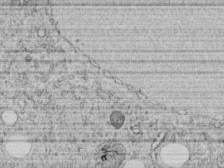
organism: C. elegans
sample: C. elegans embryo early stage